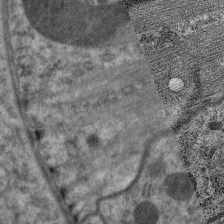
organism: C. elegans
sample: Pharynx